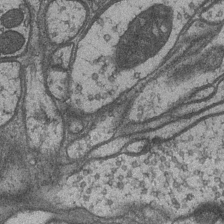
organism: Drosophila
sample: Optic medulla